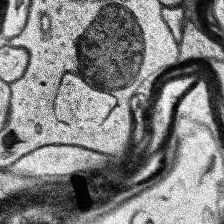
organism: Human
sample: Temporal Lobe